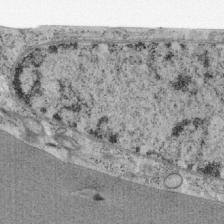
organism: Human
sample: HeLa cells